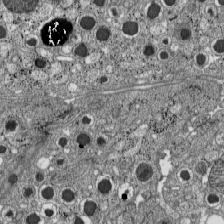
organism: C57BL Mouse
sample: Pancreatic islet